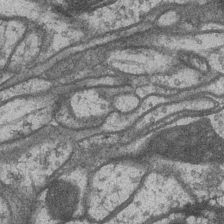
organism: Drosophila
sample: Optic medulla